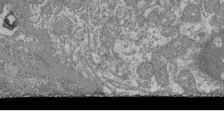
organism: Mouse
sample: Glomerulus